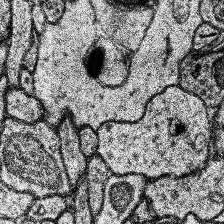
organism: Human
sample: Temporal Lobe